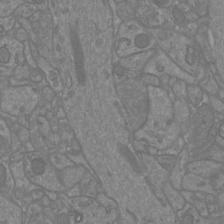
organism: Mouse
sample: Cortical neurons